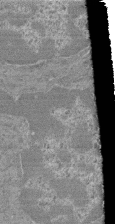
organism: Mouse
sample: Glomerulus